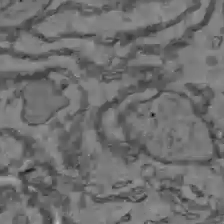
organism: C57BL Mouse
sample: Liver